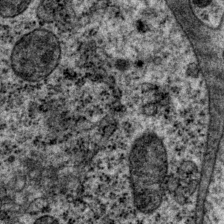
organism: P. pacificus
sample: Pharynx